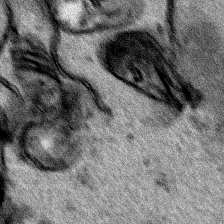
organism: Human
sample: Mitochondria in HCT116 cells